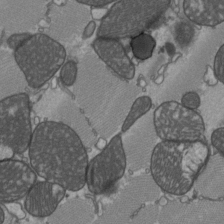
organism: C57BL Mouse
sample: Heart